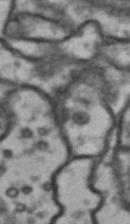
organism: Drosophila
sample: Brain